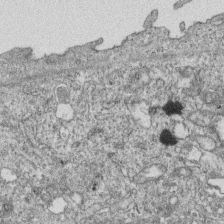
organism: Human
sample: HeLa cell HIV synapse